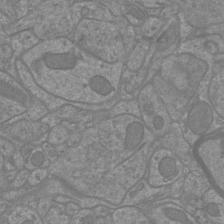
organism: Mouse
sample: Cortical neurons